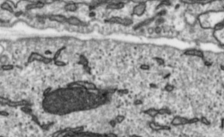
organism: Toxoplasma gondii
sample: Parasites in a vacuole inside a host cell